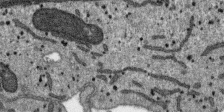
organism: Human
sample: Lung epithelial cells, uninfected (mock) control